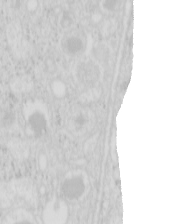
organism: Mouse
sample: Pancreas